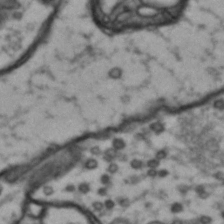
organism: Drosophila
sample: Brain